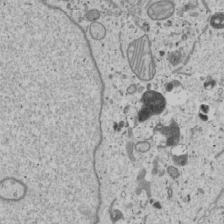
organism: Human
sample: Mitochondria in U2OS cells